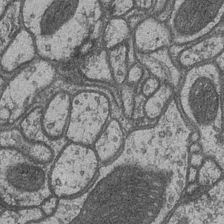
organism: Drosophila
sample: Optic medulla